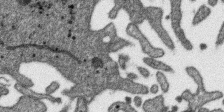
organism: Human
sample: Lung epithelial cells infected with SARS-CoV-2